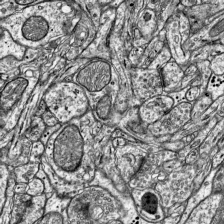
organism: Mouse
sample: Visual Cortex